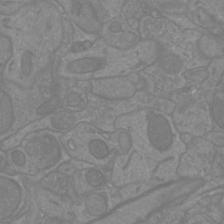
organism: Mouse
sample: Cortical neurons